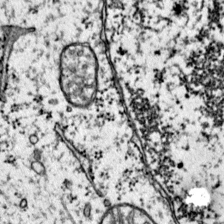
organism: Mouse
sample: Primary visual cortex